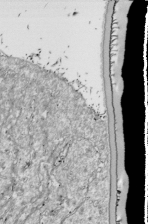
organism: Drosophila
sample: Cell division; meiosis; drosophila spermatocytes